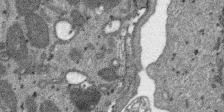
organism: Human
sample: Lung epithelial cells infected with SARS-CoV-2